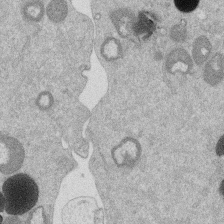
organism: Mouse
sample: Dividing mouse embryo 1 cell stage